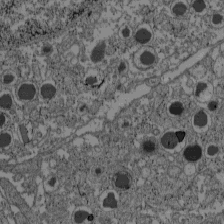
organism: C57BL Mouse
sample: Pancreatic islet